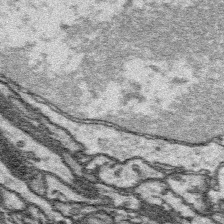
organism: Platynereis dumerilii